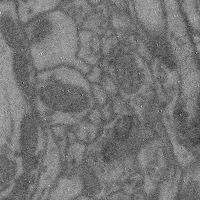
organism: Mouse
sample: Cerebral cortex